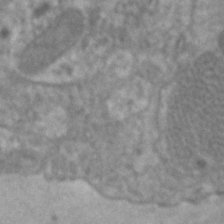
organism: C. elegans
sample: Pharynx